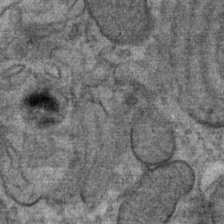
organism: Mouse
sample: Mouse Salivary gland